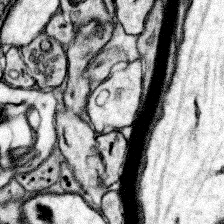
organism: Mouse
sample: Somatosensory cortex neuropil